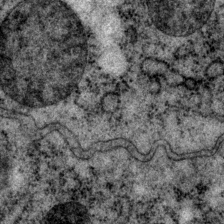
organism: P. pacificus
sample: Pharynx